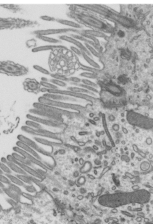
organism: Mouse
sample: Mouse epididymis efferent ductule cilia